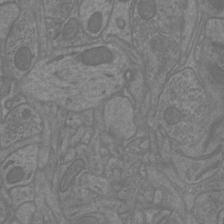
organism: Mouse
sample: Cortical neurons